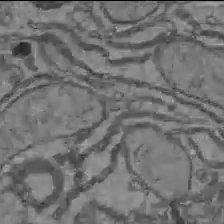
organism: C57BL Mouse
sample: Liver